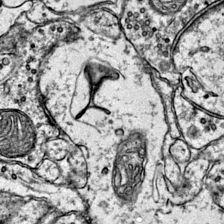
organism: Mouse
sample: Primary visual cortex